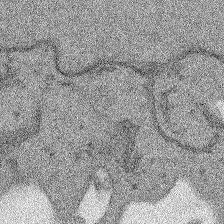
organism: Human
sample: HeLa cells